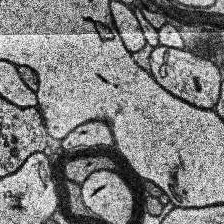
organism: Human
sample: Temporal Lobe